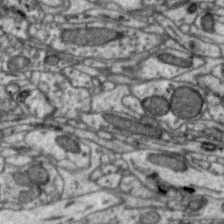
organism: Zebra finch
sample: Brain